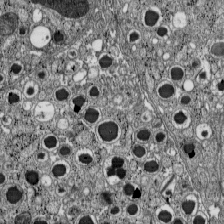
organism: C57BL Mouse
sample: Pancreatic islet